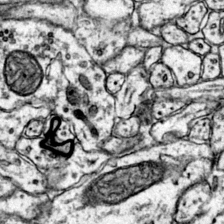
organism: Mouse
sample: Primary visual cortex